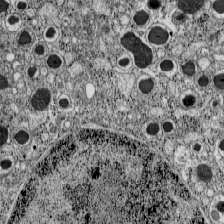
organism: C57BL Mouse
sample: Pancreatic islet